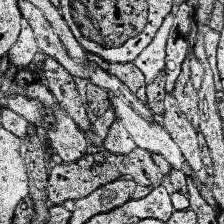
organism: Human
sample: Temporal Lobe